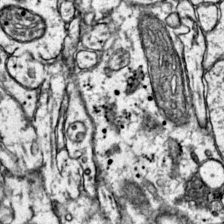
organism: Mouse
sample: Primary visual cortex